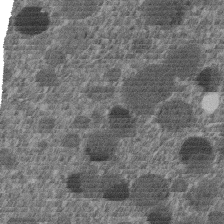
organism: C. elegans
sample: C. elegans embryo early stage